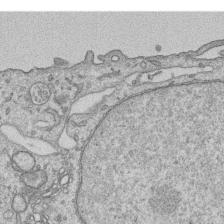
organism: Human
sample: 1205lu cells